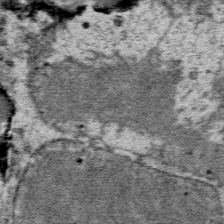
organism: Mouse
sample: Mouse Salivary gland